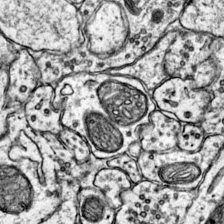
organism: Mouse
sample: Primary visual cortex